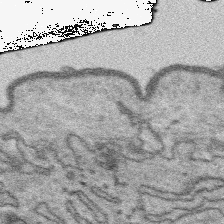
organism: Platynereis dumerilii